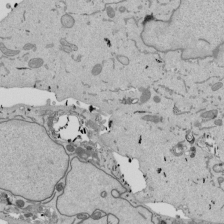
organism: Mouse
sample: ED-1 cell nuclei; centrioles